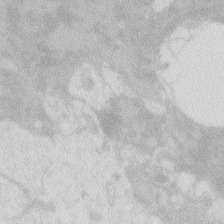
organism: Zebrafish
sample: Macrophage